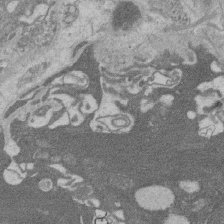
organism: Rat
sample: Salivary granule